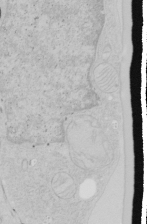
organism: Human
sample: Mitochondria in HCT116 cells